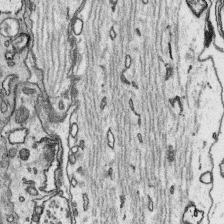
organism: Platynereis dumerilii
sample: Parapodia